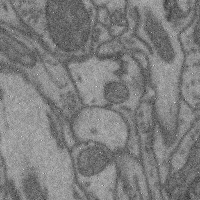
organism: Mouse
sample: Cerebral cortex